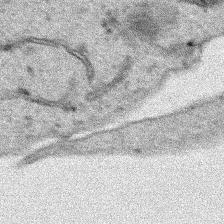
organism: Human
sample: Mitochondria in HCT116 cells